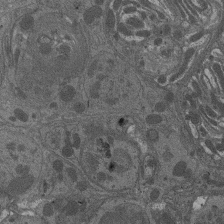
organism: Drosophila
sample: Antenna